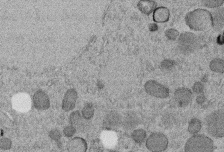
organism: C. elegans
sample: C. elegans embryo early stage